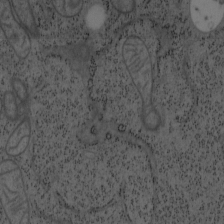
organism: Mouse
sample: OT-I killer T cells with ID8 ovarian cancer cells